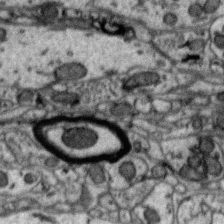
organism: Zebra finch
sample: Brain